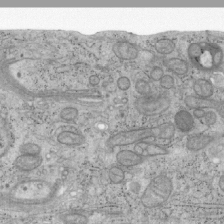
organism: Human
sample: HeLa cells